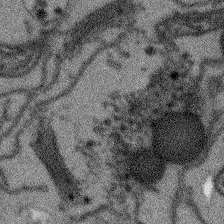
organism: Arabidopsis thaliana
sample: Root tip